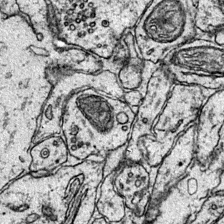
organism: Mouse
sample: Primary visual cortex